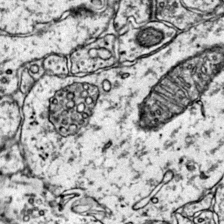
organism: Mouse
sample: Primary visual cortex